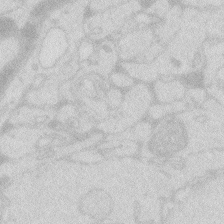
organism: Zebrafish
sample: Macrophage